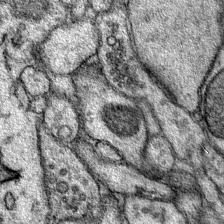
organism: Mouse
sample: Primary visual cortex